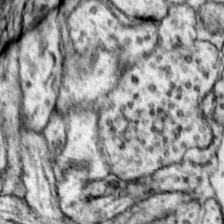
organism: Mouse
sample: Primary visual cortex